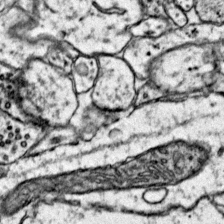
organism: Mouse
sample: Primary visual cortex